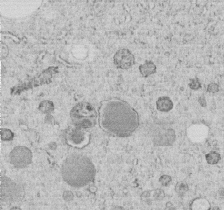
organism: C. elegans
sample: C. elegans embryo early stage